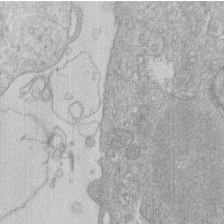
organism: Human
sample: Macrophage cells